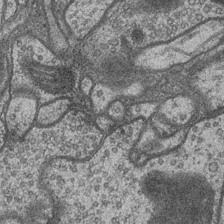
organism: Drosophila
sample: Optic medulla